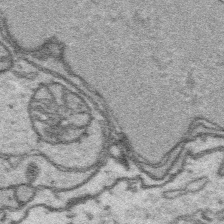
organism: Platynereis dumerilii